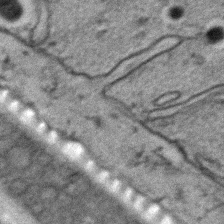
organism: C. elegans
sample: C. elegans embryo